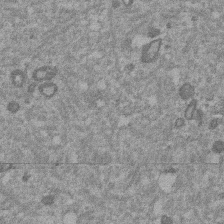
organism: Mouse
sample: Dividing mouse embryo 1 cell stage